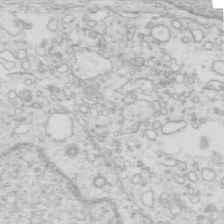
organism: Mouse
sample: Multiciliated cells